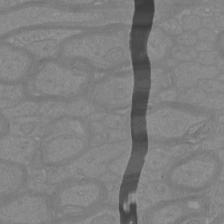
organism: Mouse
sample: Cortical neurons